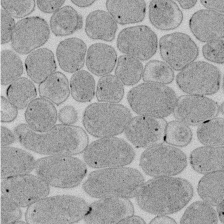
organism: E. coli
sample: Bacterial nucleoid